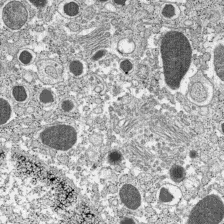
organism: C57BL Mouse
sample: Pancreatic islet